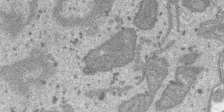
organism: Human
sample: Lung epithelial cells infected with SARS-CoV-2